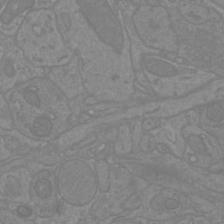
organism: Mouse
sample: Cortical neurons